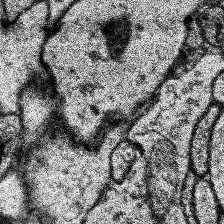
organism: Human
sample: Temporal Lobe